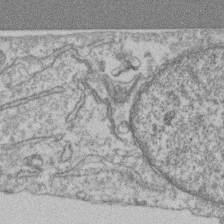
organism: Mouse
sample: T cell stromal cell synapse